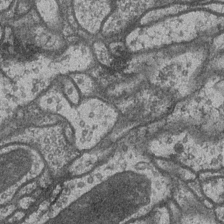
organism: Drosophila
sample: Optic medulla